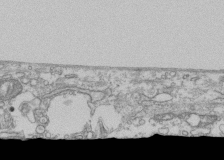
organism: Human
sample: Fibroblast cells